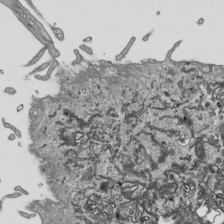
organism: Human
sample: Mitochondria in HCT116 cells